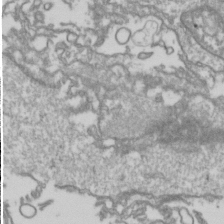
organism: Drosophila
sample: Cell division; meiosis; drosophila spermatocytes